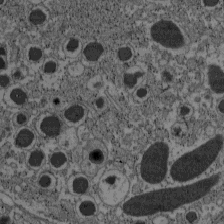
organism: C57BL Mouse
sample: Pancreatic islet